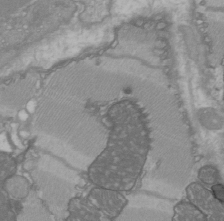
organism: C57BL Mouse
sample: Heart